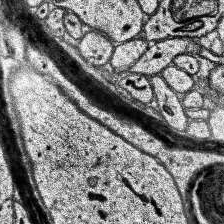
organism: Human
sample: Temporal Lobe